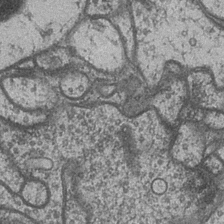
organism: Drosophila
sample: Optic medulla